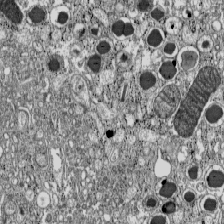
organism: C57BL Mouse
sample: Pancreatic islet